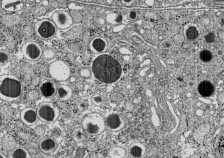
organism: C57BL Mouse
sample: Pancreatic islet